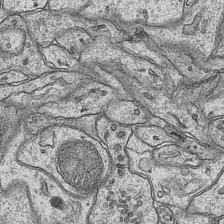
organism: Mouse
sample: CA1 Hippocampus